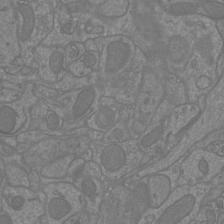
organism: Mouse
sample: Cortical neurons